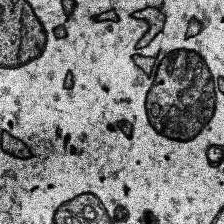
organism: Human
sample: Temporal Lobe